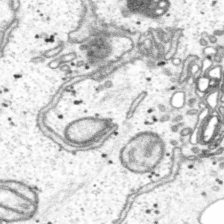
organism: Human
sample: HeLa cells